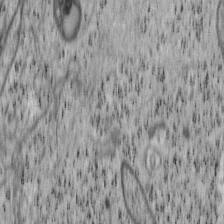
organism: Human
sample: HeLa cells